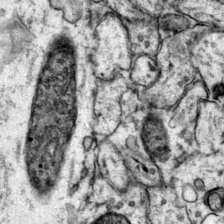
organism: Mouse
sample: Primary visual cortex